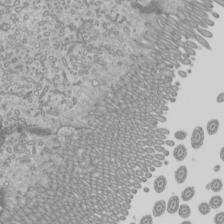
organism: Mouse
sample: Cilia; mouse epididymis